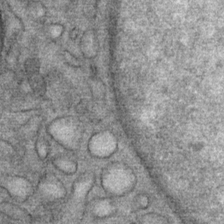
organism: Mouse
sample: Mouse Salivary gland